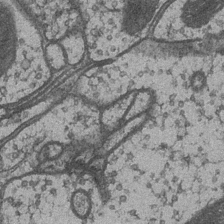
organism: Drosophila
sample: Optic medulla